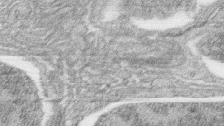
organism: Zebrafish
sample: synaptic ribbons in rod cells and cone cells